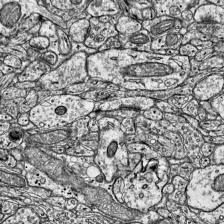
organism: Mouse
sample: Visual Cortex